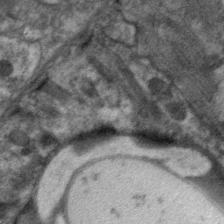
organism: C. elegans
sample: Pharynx